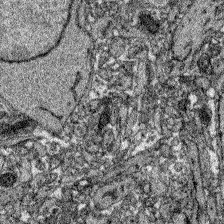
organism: Zebrafish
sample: Larval olfactory bulb